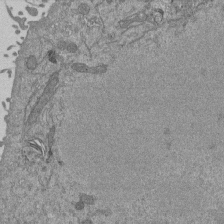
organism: Mouse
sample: ED-1 cell nuclei; centrioles